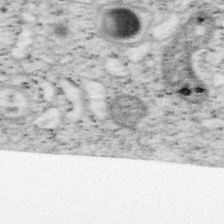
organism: Mouse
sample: OT-I killer T cells with ID8 ovarian cancer cells